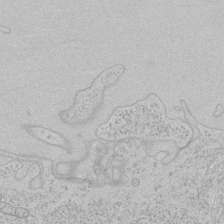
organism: Human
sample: Mitochondria in HCT116 cells